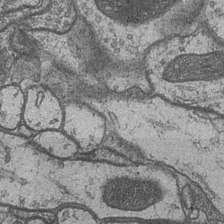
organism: Drosophila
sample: Optic medulla